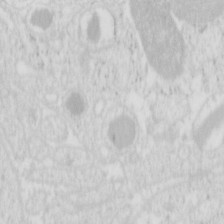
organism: Mouse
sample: Pancreas